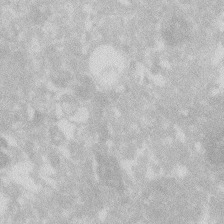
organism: Zebrafish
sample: Macrophage